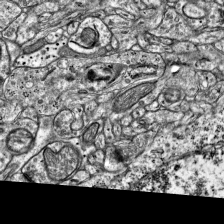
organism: Mouse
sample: Visual Cortex